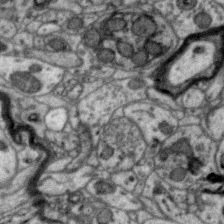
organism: Zebra finch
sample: Brain